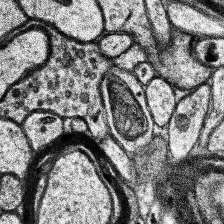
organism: Human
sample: Temporal Lobe